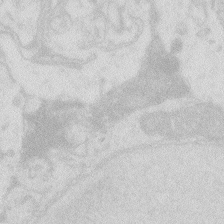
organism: Zebrafish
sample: Macrophage